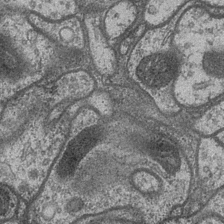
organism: Drosophila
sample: Optic medulla